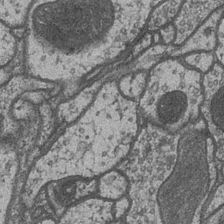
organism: Drosophila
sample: Optic medulla